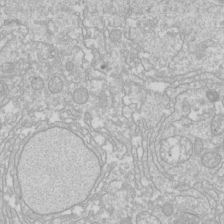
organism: Drosophila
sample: Cell division; meiosis; drosophila spermatocytes